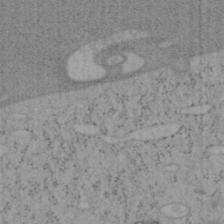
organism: Mouse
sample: OT-I killer T cells with ID8 ovarian cancer cells